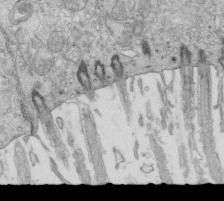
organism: Mouse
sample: Multiciliated cells